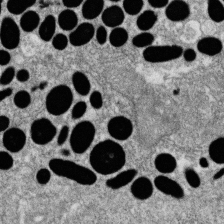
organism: Zebrafish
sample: Cilia; retinal pigment epithelium